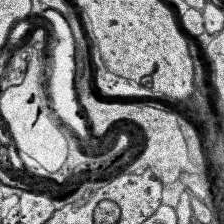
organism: Human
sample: Temporal Lobe